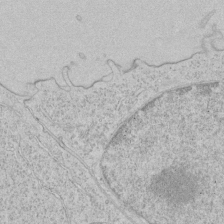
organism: Human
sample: Mitochondria in HCT116 cells